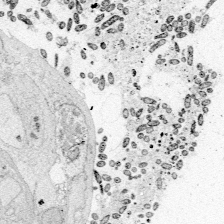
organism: Zebrafish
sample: Whole-Brain